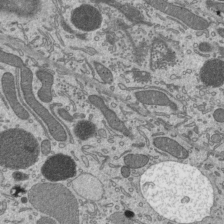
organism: Mouse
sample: Mouse epididymis efferent ductule cilia